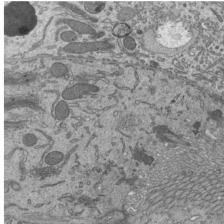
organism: Mouse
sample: Mouse epididymis efferent ductule cilia